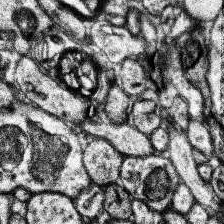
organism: Human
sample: Temporal Lobe